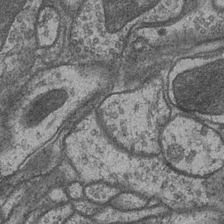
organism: Drosophila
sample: Optic medulla